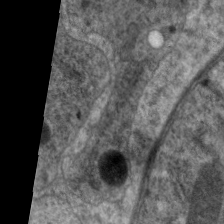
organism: C. elegans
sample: Pharynx